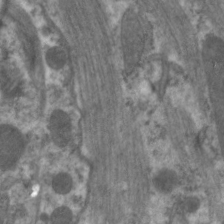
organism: C. elegans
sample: Pharynx